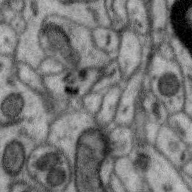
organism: Zebra finch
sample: Brain